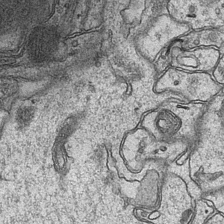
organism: Mouse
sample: CA1 Hippocampus